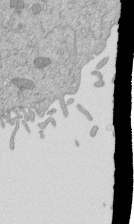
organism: Mouse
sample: ED-1 cell nuclei; centrioles